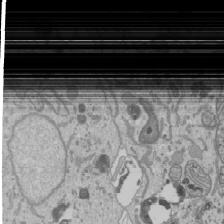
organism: Human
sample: Mitochondria in U2OS cells